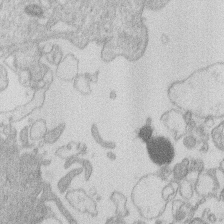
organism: Human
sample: Macrophage cells